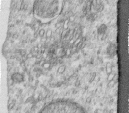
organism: Human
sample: Centriole in RPE cells